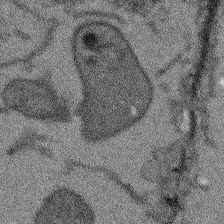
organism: Arabidopsis thaliana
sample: Root tip